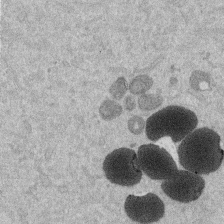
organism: Mouse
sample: Dividing mouse embryo 1 cell stage